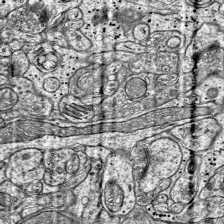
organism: Mouse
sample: Visual Cortex